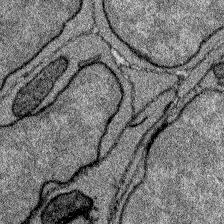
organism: Zebrafish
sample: Larval olfactory bulb